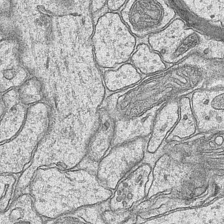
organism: Mouse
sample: CA1 Hippocampus